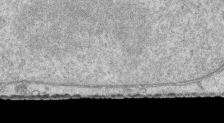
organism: Human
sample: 1205lu cells